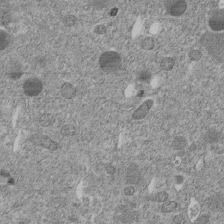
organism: C. elegans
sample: C. elegans embryo early stage